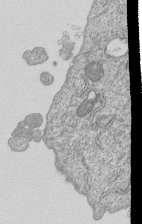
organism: Human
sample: MDA-MB-231 cells